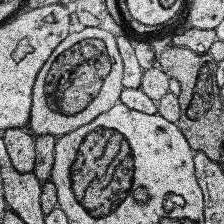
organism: Human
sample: Temporal Lobe